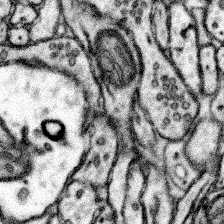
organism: Mouse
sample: Somatosensory cortex neuropil